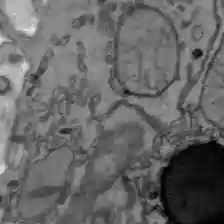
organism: C57BL Mouse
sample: Liver